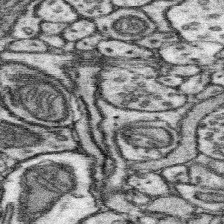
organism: Mouse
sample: Somatosensory cortex neuropil